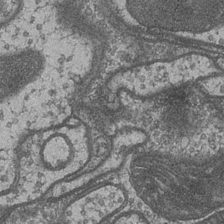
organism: Drosophila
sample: Optic medulla